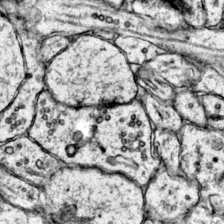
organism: Mouse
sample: Primary visual cortex